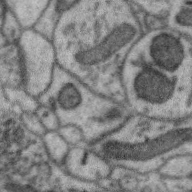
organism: Zebra finch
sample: Brain